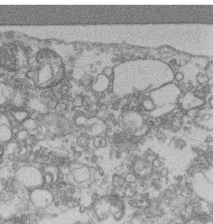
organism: Mouse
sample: T cell stromal cell synapse